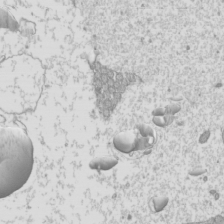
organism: Mouse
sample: Cilia; mouse epididymis